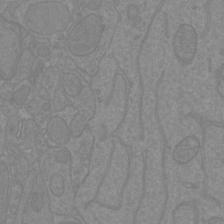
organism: Mouse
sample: Cortical neurons